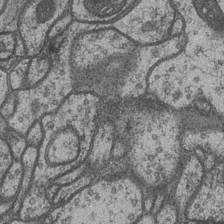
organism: Drosophila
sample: Optic medulla